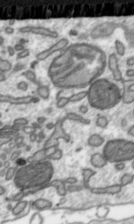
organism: Toxoplasma gondii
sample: Parasites in a vacuole inside a host cell